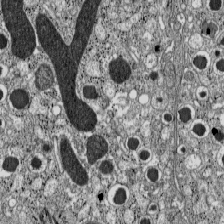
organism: C57BL Mouse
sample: Pancreatic islet